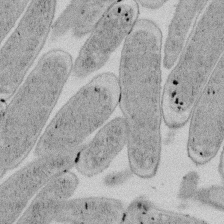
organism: E. coli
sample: Bacterial nucleoid